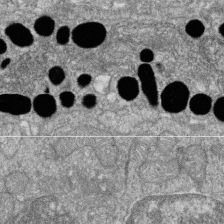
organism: Zebrafish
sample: Cilia; retinal pigment epithelium